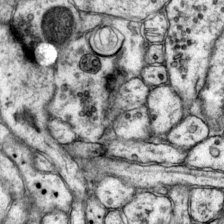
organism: Mouse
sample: Primary visual cortex